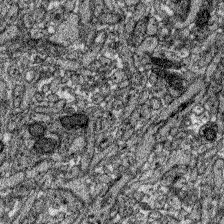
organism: Zebrafish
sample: Larval olfactory bulb